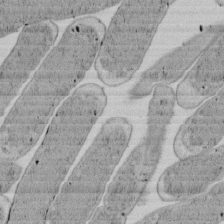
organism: E. coli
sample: Bacterial nucleoid